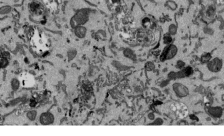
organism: Mouse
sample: ED-1 cell nuclei; centrioles